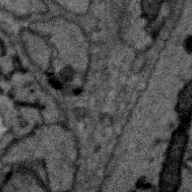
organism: Zebra finch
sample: Brain